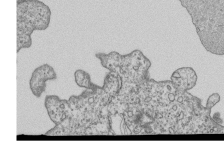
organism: Human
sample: MDA-MB-231 cells